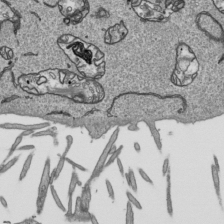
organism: Human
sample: Mitochondria in HCT116 cells